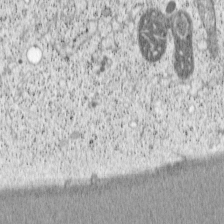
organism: African green monkey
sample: COS-7 cells